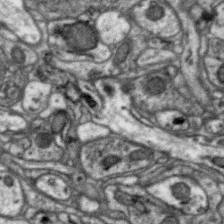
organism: Zebra finch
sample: Brain